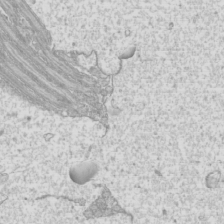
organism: Mouse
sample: Cilia; mouse epididymis